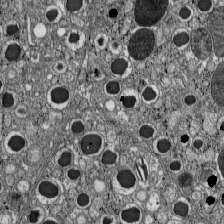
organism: C57BL Mouse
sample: Pancreatic islet